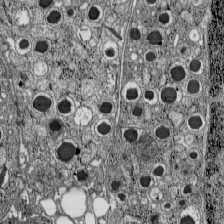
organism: C57BL Mouse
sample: Pancreatic islet